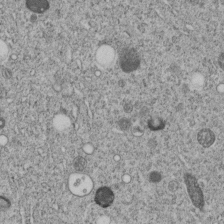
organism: C. elegans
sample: C. elegans embryo early stage